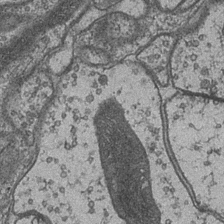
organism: Drosophila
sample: Optic medulla